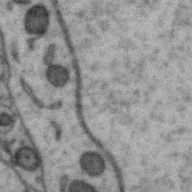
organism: Zebra finch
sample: Brain